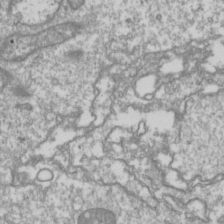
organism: Drosophila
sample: Cell division; meiosis; drosophila spermatocytes